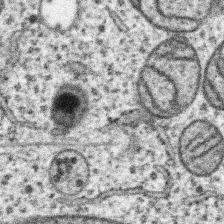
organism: Human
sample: HeLa cells